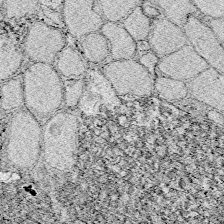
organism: Zebrafish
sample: Whole-Brain